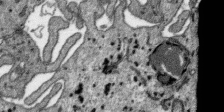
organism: Human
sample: Lung epithelial cells, uninfected (mock) control